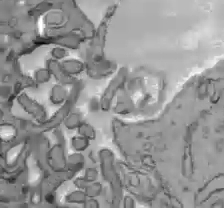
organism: C57BL Mouse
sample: Liver